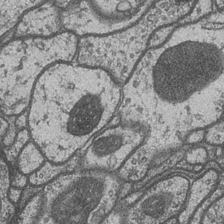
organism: Drosophila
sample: Optic medulla